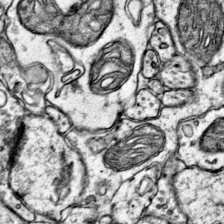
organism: Mouse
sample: Primary visual cortex